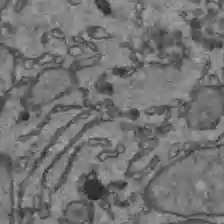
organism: C57BL Mouse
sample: Liver